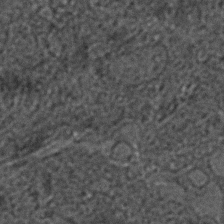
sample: Trachea